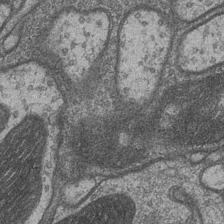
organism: Drosophila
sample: Optic medulla